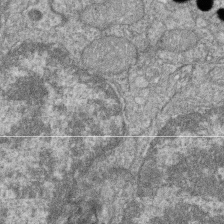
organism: Zebrafish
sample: Cilia; retinal pigment epithelium